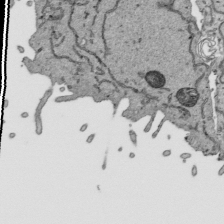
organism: Human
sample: Mitochondria in HCT116 cells